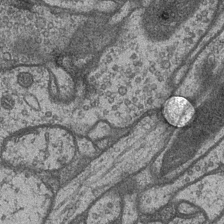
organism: Drosophila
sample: Optic medulla